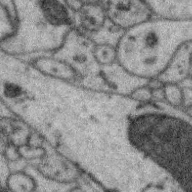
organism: Zebra finch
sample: Brain